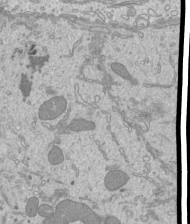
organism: Mouse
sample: Cilia; mouse epididymis